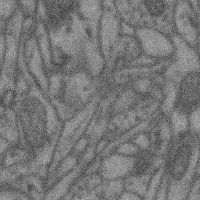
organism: Mouse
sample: Cerebral cortex